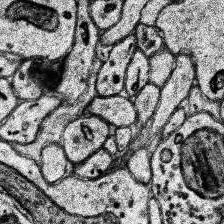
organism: Human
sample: Temporal Lobe